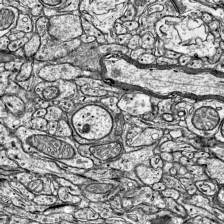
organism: Mouse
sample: Visual Cortex